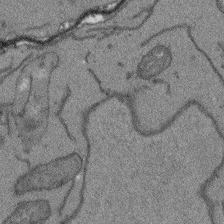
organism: Arabidopsis thaliana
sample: Root tip